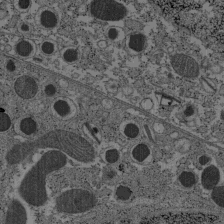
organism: C57BL Mouse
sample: Pancreatic islet